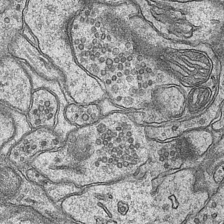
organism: Mouse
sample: CA1 Hippocampus